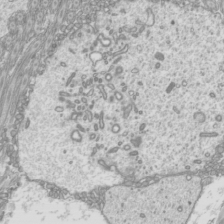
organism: Mouse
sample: Cilia; mouse epididymis